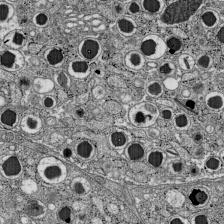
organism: C57BL Mouse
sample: Pancreatic islet